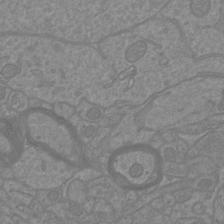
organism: Mouse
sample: Cortical neurons